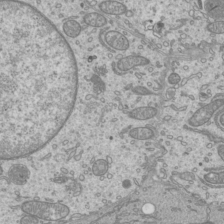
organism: Mouse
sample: Cilia; mouse epididymis